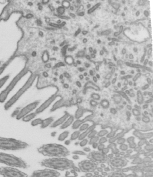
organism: Mouse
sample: Mouse epididymis efferent ductule cilia